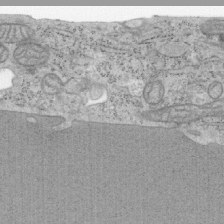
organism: Human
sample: HeLa cells